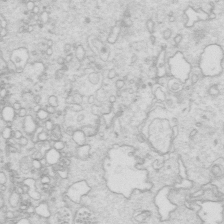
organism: Mouse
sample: Multiciliated cells